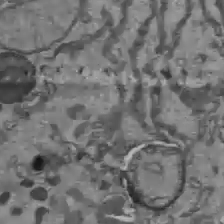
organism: C57BL Mouse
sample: Liver